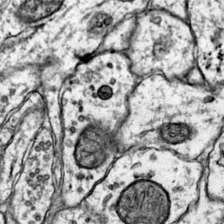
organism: Mouse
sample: Primary visual cortex